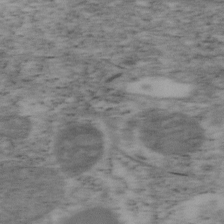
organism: Mouse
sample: OT-I killer T cells with ID8 ovarian cancer cells